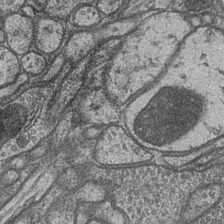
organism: Drosophila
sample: Optic medulla